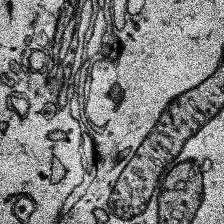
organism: Human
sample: Temporal Lobe